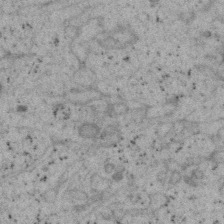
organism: Human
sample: HeLa cells